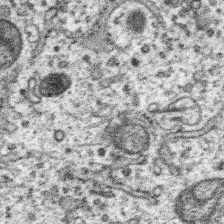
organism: Human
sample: HeLa cells